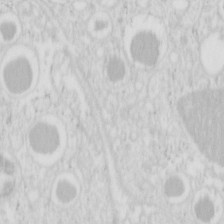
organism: Mouse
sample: Pancreas